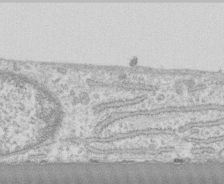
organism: Human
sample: CRL-1474